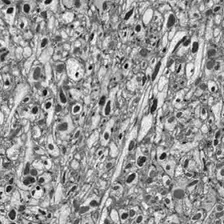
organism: Drosophila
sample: Optic lobe